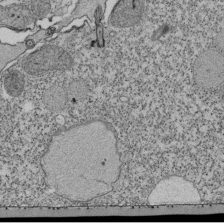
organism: Tetrahymena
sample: Cilia in tetrahymena